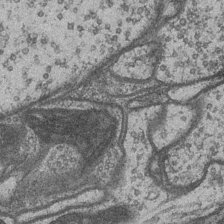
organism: Drosophila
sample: Optic medulla